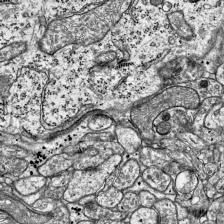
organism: Mouse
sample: Visual Cortex